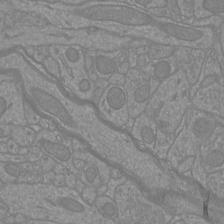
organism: Mouse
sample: Cortical neurons